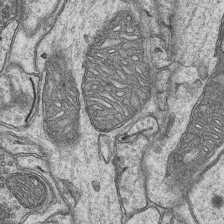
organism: Mouse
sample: CA1 Hippocampus